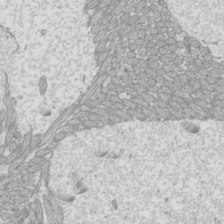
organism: Mouse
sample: Cilia; mouse epididymis